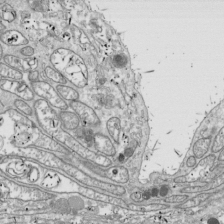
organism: Drosophila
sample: Cell division; meiosis; drosophila spermatocytes